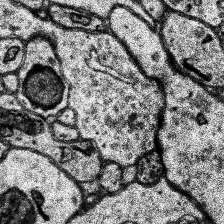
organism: Human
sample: Temporal Lobe